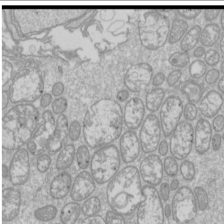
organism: Drosophila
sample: Cell division; meiosis; drosophila spermatocytes